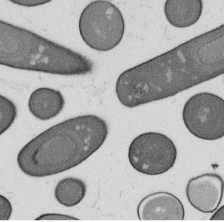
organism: B. subtilis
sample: Bacterial spore